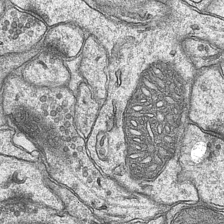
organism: Mouse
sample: CA1 Hippocampus